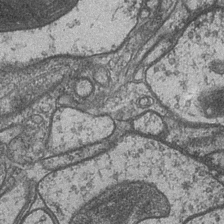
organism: Drosophila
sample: Optic medulla